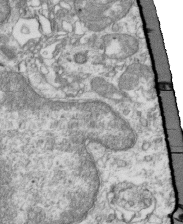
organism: Mouse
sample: Activated OT-1 CD8+ T cells